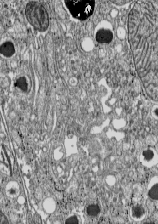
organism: C57BL Mouse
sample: Pancreatic islet